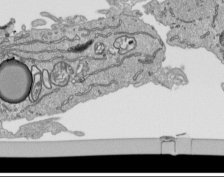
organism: Human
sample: Mitochondria in HCT116 cells